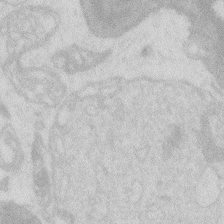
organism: Zebrafish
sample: Macrophage